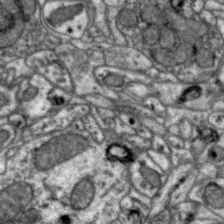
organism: Zebra finch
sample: Brain